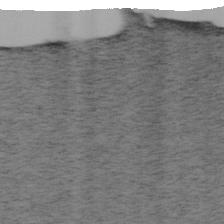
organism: Mouse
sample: OT-I killer T cells with ID8 ovarian cancer cells